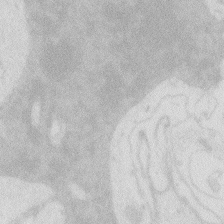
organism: Zebrafish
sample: Macrophage